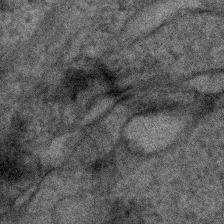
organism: Human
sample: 1205lu cells